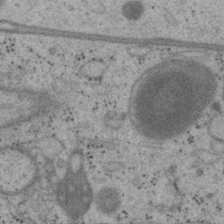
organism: Human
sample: HeLa cells